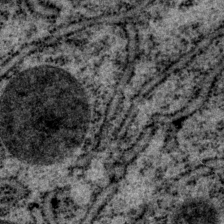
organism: P. pacificus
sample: Pharynx